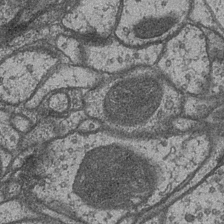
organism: Drosophila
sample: Optic medulla